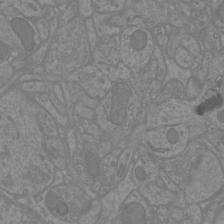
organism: Mouse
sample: Cortical neurons